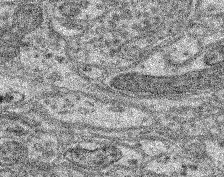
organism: Mouse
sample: Retina